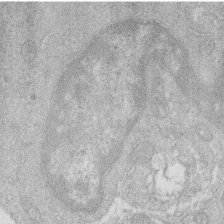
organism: Human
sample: Macrophage cells